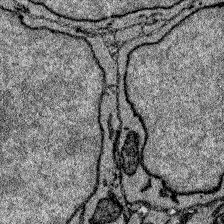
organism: Zebrafish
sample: Larval olfactory bulb